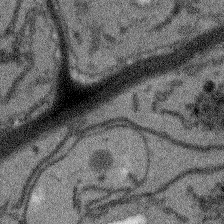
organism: Arabidopsis thaliana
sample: Root tip